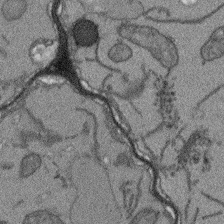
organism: Arabidopsis thaliana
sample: Root tip